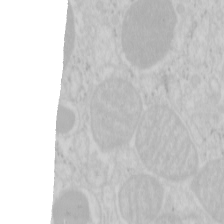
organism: Mouse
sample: Pancreas